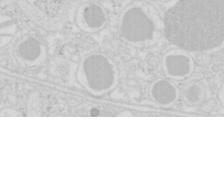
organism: Mouse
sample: Pancreas